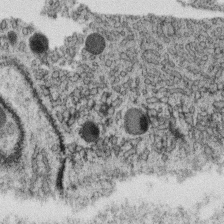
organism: C. elegans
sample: C. elegans oocyte; sperm cells